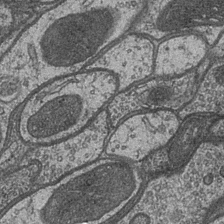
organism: Drosophila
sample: Optic medulla